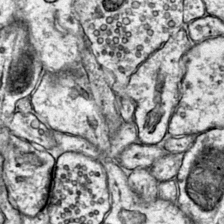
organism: Mouse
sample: Primary visual cortex